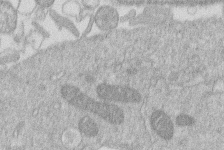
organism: Human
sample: Macrophage cells